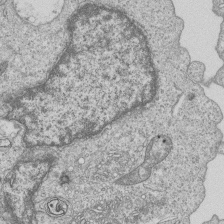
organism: Human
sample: MDA-MB-231 cells